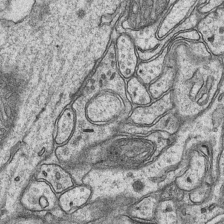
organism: Mouse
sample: CA1 Hippocampus